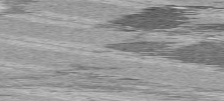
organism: C57BL Mouse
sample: Heart